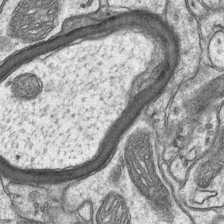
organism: Mouse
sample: CA1 Hippocampus